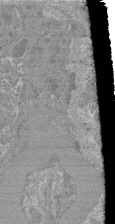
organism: Mouse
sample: Glomerulus